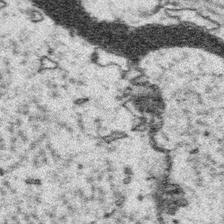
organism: Platynereis dumerilii